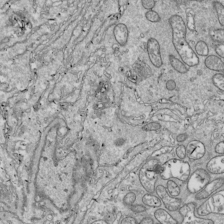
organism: Drosophila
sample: Cell division; meiosis; drosophila spermatocytes